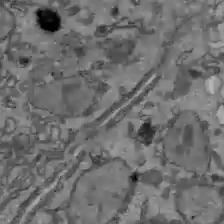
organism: C57BL Mouse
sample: Liver